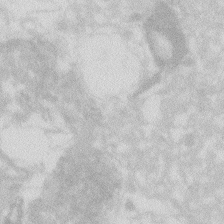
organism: Zebrafish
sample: Macrophage